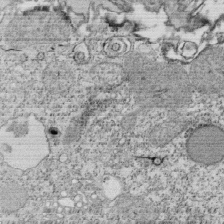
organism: Tetrahymena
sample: Cilia in tetrahymena